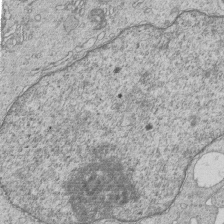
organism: Human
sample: MDA-MB-231 cells